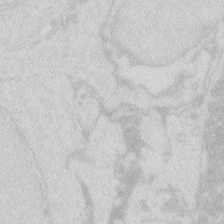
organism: Zebrafish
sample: Macrophage